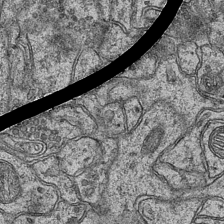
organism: Mouse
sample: CA1 Hippocampus